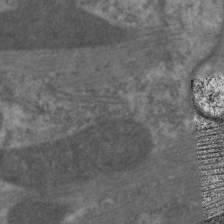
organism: C. elegans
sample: Pharynx